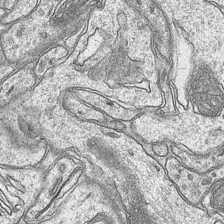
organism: Mouse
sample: CA1 Hippocampus